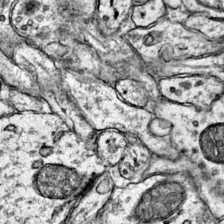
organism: Mouse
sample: Primary visual cortex